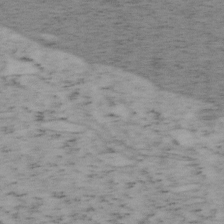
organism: Mouse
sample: OT-I killer T cells with ID8 ovarian cancer cells